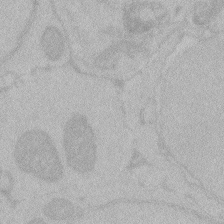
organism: Zebrafish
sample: Macrophage infected with Toxoplasma gondii